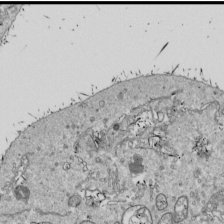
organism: Drosophila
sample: Cell division; meiosis; drosophila spermatocytes